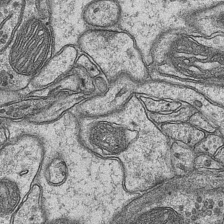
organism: Mouse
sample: CA1 Hippocampus